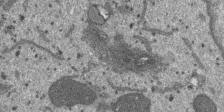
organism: Human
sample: Lung epithelial cells infected with SARS-CoV-2